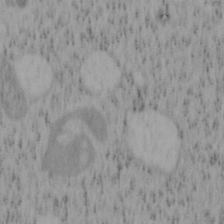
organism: Mouse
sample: OT-I killer T cells with ID8 ovarian cancer cells